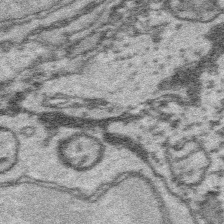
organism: Platynereis dumerilii